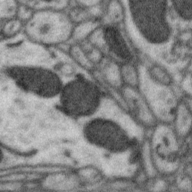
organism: Zebra finch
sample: Brain